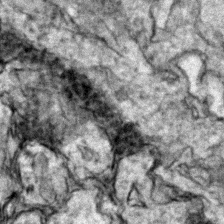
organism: Zebrafish